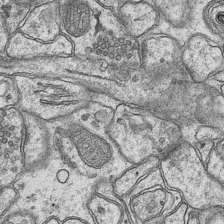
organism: Mouse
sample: CA1 Hippocampus